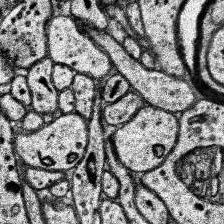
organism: Human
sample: Temporal Lobe